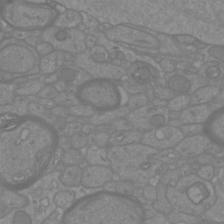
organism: Mouse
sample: Cortical neurons